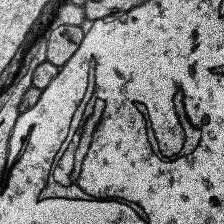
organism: Human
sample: Temporal Lobe